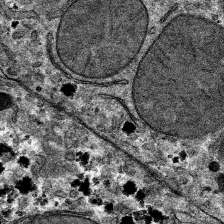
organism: Mouse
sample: Mouse hepatocytes